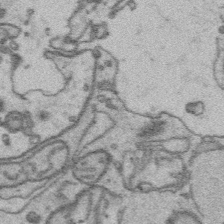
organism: Platynereis dumerilii